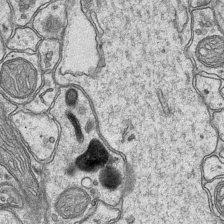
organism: Mouse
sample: CA1 Hippocampus